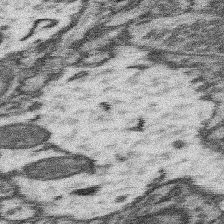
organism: Mouse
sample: Somatosensory cortex neuropil